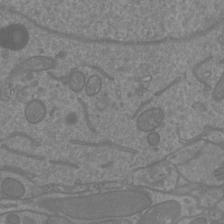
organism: Mouse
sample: Cortical neurons